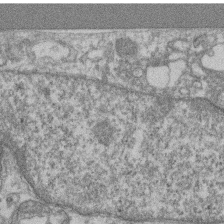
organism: Mouse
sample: T cell stromal cell synapse